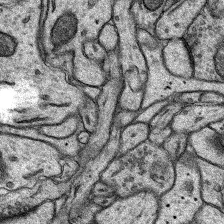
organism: Rat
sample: Hippocampus